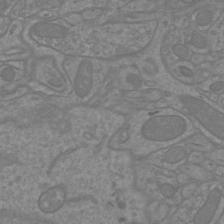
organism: Mouse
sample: Cortical neurons